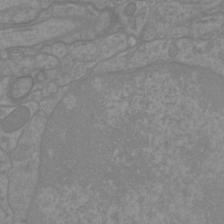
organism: Mouse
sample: Cortical neurons